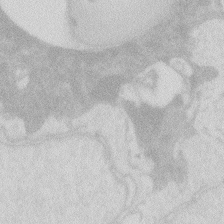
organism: Zebrafish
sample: Macrophage